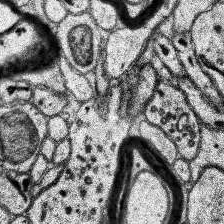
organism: Human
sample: Temporal Lobe